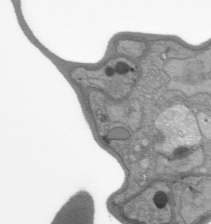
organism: Plasmodium falciparum